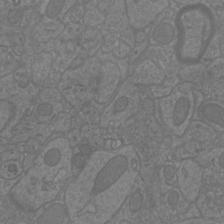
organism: Mouse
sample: Cortical neurons